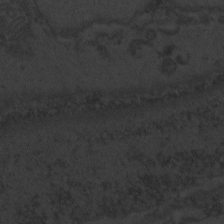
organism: Zebrafish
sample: Macrophage infected with Toxoplasma gondii